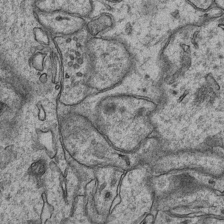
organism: Mouse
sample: CA1 Hippocampus